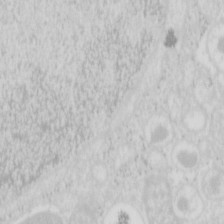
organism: Mouse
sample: Pancreas